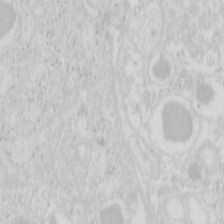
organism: Mouse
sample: Pancreas